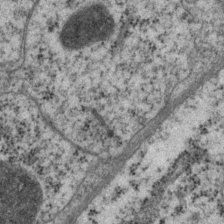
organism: P. pacificus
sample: Pharynx